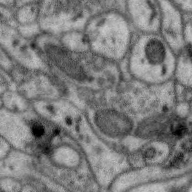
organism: Zebra finch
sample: Brain